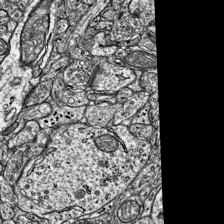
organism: Mouse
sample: Visual Cortex